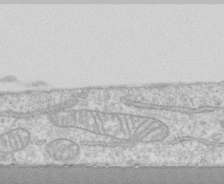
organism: Human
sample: CRL-1474